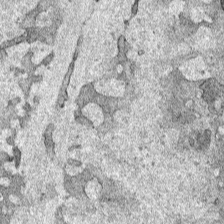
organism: Human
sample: Mitochondria in HCT116 cells